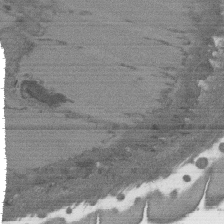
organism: C. elegans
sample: AFD neurons C. elegans